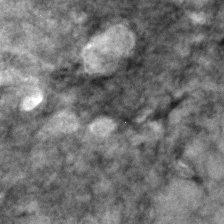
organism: C. elegans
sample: C. elegans embryo